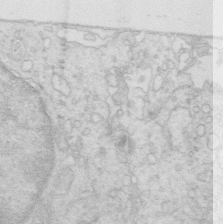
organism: Mouse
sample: Multiciliated cells